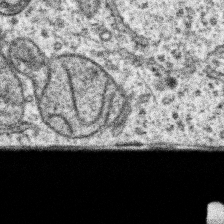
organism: Human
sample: HeLa cells